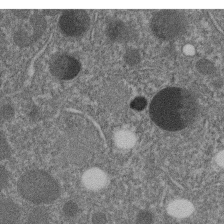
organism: C. elegans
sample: C. elegans embryo early stage